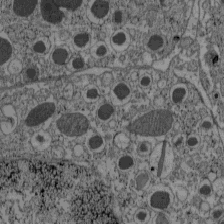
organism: C57BL Mouse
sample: Pancreatic islet